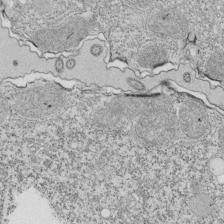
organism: Tetrahymena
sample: Cilia in tetrahymena